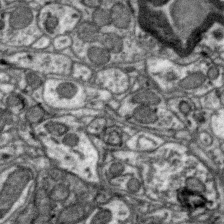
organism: Zebra finch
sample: Brain